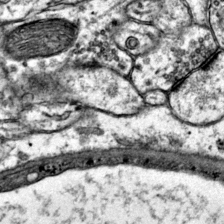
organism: Mouse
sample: Primary visual cortex